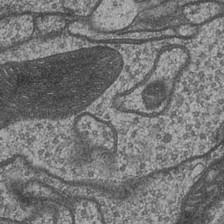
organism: Drosophila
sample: Optic medulla